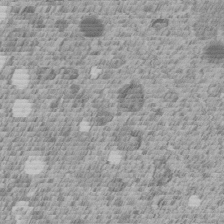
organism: C. elegans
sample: C. elegans embryo early stage